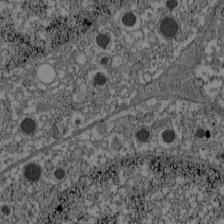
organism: C57BL Mouse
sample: Pancreatic islet